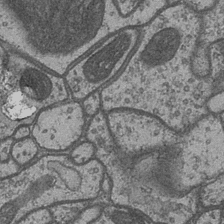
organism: Drosophila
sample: Optic medulla